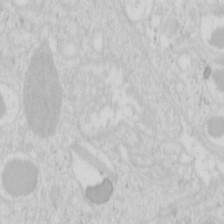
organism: Mouse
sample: Pancreas